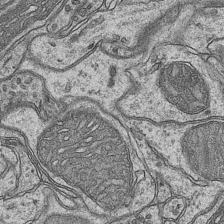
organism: Mouse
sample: CA1 Hippocampus